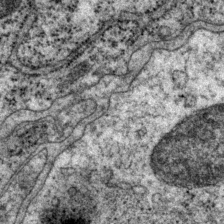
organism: P. pacificus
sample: Pharynx